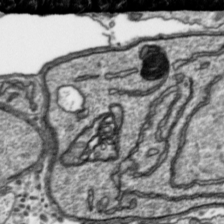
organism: Toxoplasma gondii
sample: Parasites in a vacuole inside a host cell